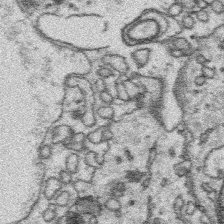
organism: Platynereis dumerilii